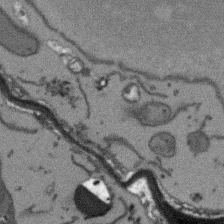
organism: Arabidopsis thaliana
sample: Root tip